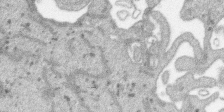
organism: Human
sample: Lung epithelial cells infected with SARS-CoV-2